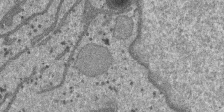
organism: Human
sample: Lung epithelial cells infected with SARS-CoV-2